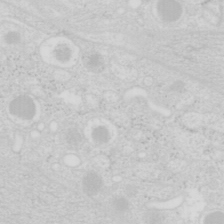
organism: Mouse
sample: Pancreas